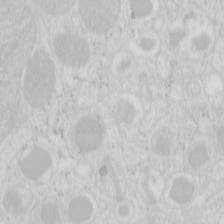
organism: Mouse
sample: Pancreas